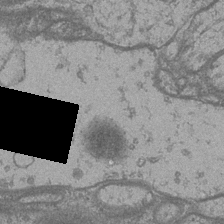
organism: Drosophila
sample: Optic medulla